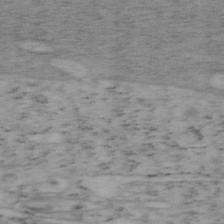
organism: Mouse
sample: OT-I killer T cells with ID8 ovarian cancer cells